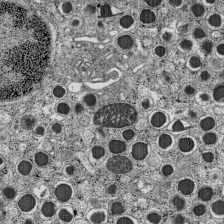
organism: C57BL Mouse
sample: Pancreatic islet